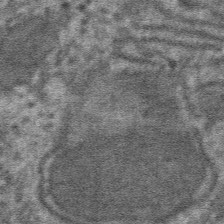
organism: Mouse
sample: Mouse hepatocytes